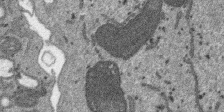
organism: Human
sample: Lung epithelial cells infected with SARS-CoV-2